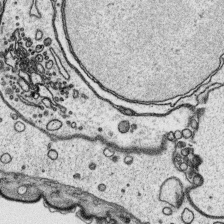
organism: Platynereis dumerilii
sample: Parapodia